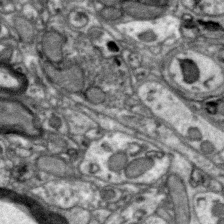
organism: Zebra finch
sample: Brain